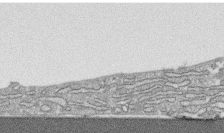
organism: Human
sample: CRL-1474